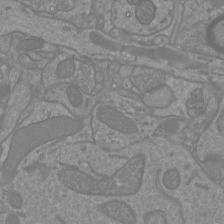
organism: Mouse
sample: Cortical neurons